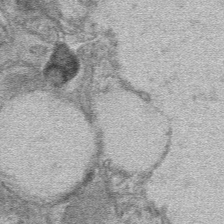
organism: Mouse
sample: Mouse hepatocytes